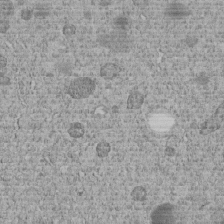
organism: C. elegans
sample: C. elegans embryo early stage